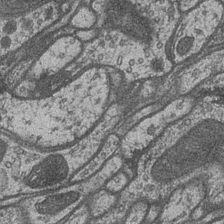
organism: Drosophila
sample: Optic medulla